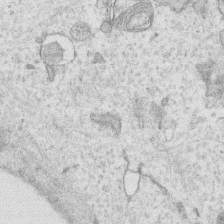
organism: Human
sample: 1205lu cells